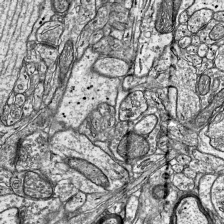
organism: Mouse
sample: Visual Cortex